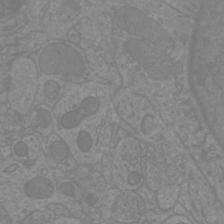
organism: Mouse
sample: Cortical neurons